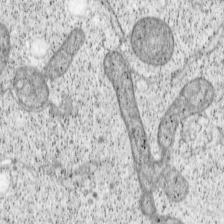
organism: African green monkey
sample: COS-7 cells